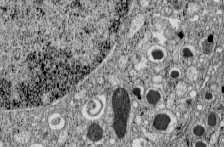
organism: C57BL Mouse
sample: Pancreatic islet